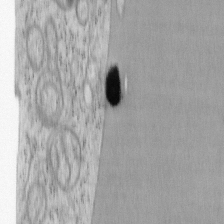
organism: Human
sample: HeLa cells